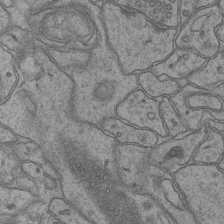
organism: Mouse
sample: CA1 Hippocampus